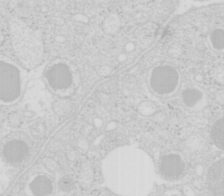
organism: Mouse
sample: Pancreas